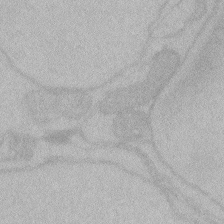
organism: Zebrafish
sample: Macrophage infected with Toxoplasma gondii